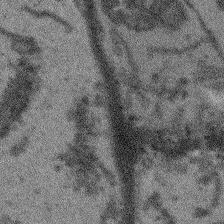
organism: Arabidopsis thaliana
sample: Root tip